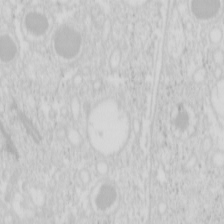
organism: Mouse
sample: Pancreas